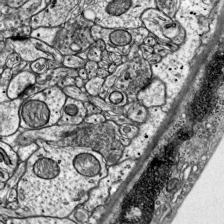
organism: Mouse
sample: Visual Cortex